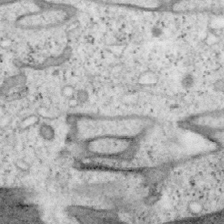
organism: Mouse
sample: OT-I killer T cells with ID8 ovarian cancer cells